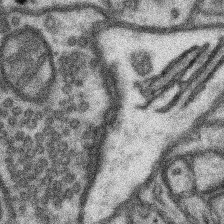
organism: Mouse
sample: Somatosensory cortex neuropil